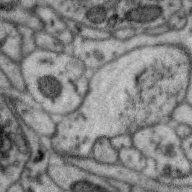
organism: Zebra finch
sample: Brain